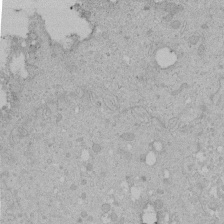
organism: Human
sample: Melanocyte Keratinocyte synapse skin construct